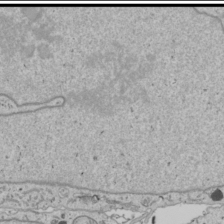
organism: Human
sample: Mitochondria in U2OS cells